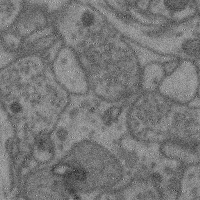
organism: Mouse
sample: Cerebral cortex